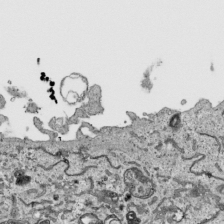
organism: Human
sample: Mitochondria in HCT116 cells